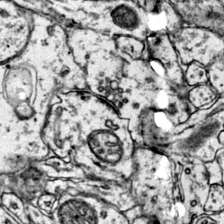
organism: Mouse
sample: Primary visual cortex